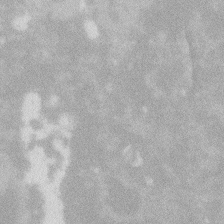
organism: Zebrafish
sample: Macrophage